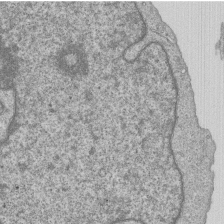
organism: Human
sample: MDA-MB-231 cells